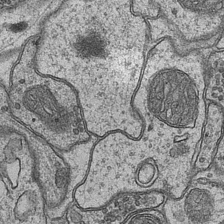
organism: Mouse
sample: CA1 Hippocampus